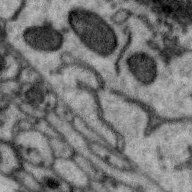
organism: Zebra finch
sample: Brain